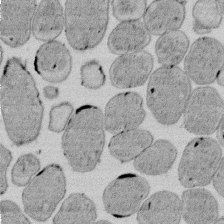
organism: E. coli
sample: Bacterial nucleoid